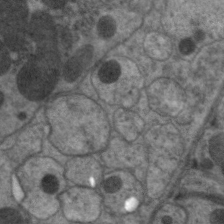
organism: C. elegans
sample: Pharynx